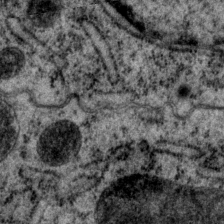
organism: P. pacificus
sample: Pharynx